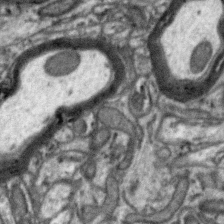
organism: Zebra finch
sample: Brain